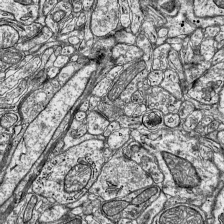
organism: Mouse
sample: Visual Cortex